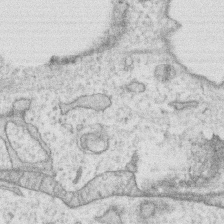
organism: Human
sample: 1205lu cells